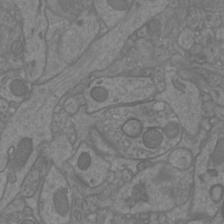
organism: Mouse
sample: Cortical neurons